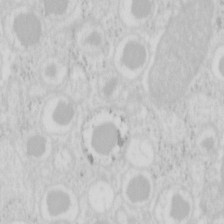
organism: Mouse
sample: Pancreas